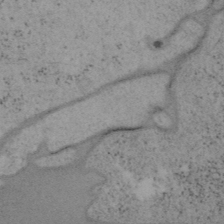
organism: Mouse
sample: OT-I killer T cells with ID8 ovarian cancer cells